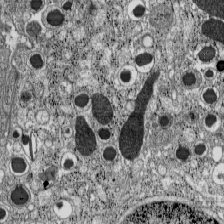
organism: C57BL Mouse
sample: Pancreatic islet